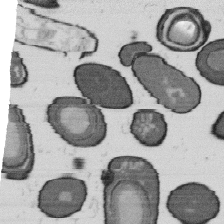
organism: B. subtilis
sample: Bacterial spore